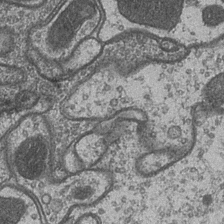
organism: Drosophila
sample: Optic medulla